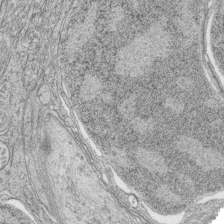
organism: Zebrafish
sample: synaptic ribbons in rod cells and cone cells